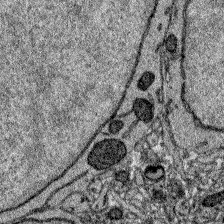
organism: Zebrafish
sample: Larval olfactory bulb